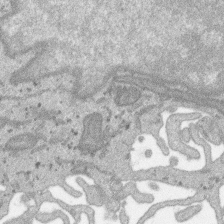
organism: Human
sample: Lung epithelial cells infected with SARS-CoV-2